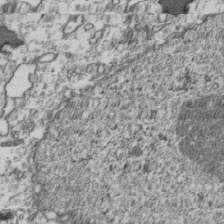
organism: Human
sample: Activated Jurkat CD4+ T cells